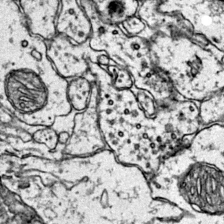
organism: Mouse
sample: Primary visual cortex